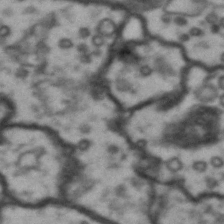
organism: Drosophila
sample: Brain